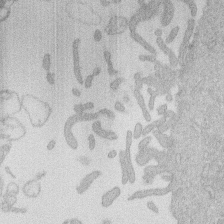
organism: Human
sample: Macrophage cells